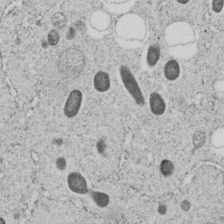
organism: C. elegans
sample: C. elegans embryo early stage